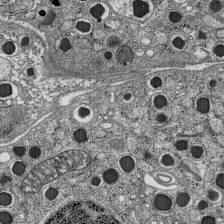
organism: C57BL Mouse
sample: Pancreatic islet